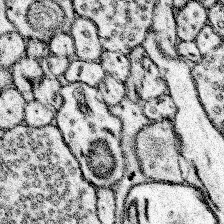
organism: Mouse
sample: Somatosensory cortex neuropil